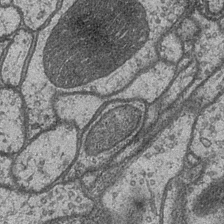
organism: Drosophila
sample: Optic medulla